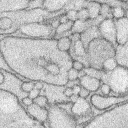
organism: Rabbit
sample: Retina